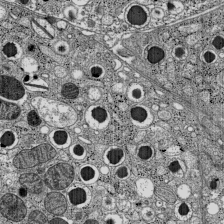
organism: C57BL Mouse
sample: Pancreatic islet